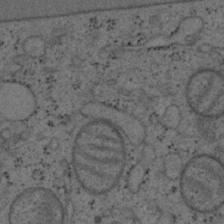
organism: Human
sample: HeLa cells